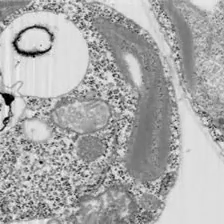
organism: Chlamydomonas reinhardtii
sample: Whole Cell